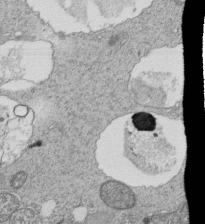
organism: Tetrahymena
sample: Cilia in tetrahymena